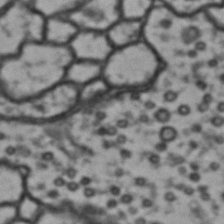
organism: Drosophila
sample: Brain